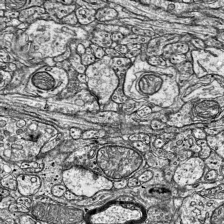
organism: Mouse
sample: Visual Cortex